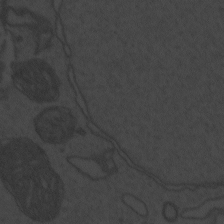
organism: Zebrafish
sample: Macrophage infected with Toxoplasma gondii